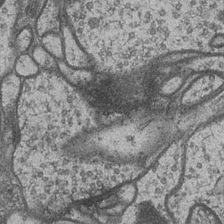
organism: Drosophila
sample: Optic medulla